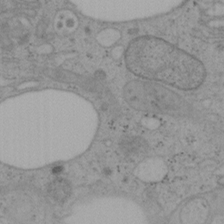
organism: Mouse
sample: OT-I killer T cells with ID8 ovarian cancer cells